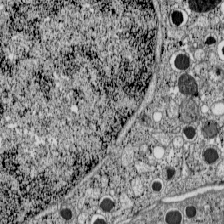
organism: C57BL Mouse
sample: Pancreatic islet